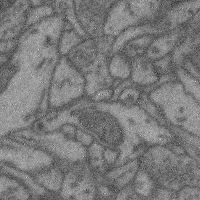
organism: Mouse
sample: Cerebral cortex